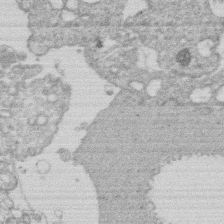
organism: Human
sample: Macrophage cells